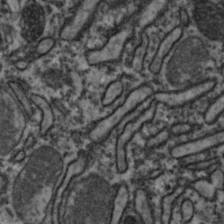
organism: Zebrafish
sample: Zebrafish embryo